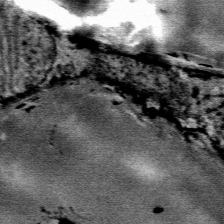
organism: Mouse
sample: Mouse Salivary gland